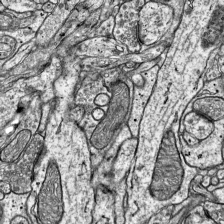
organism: Mouse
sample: Visual Cortex